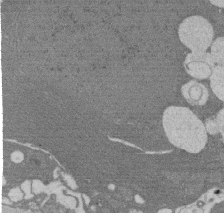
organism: Rat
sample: Salivary granule